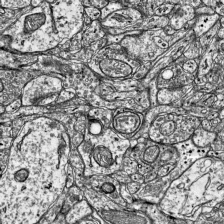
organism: Mouse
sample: Visual Cortex